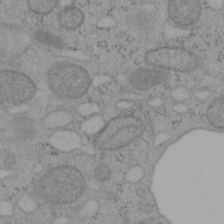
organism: Mouse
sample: OT-I killer T cells with ID8 ovarian cancer cells